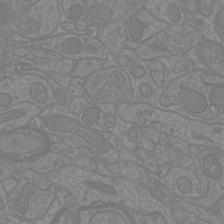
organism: Mouse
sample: Cortical neurons